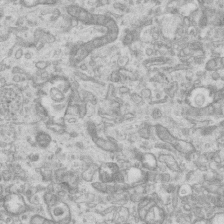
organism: Mouse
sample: Centriole in ependymal cells